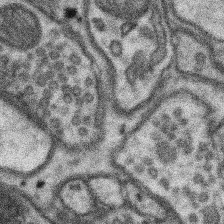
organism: Mouse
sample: Somatosensory cortex neuropil